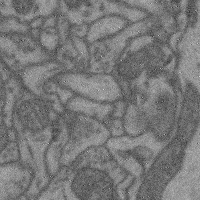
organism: Mouse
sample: Cerebral cortex